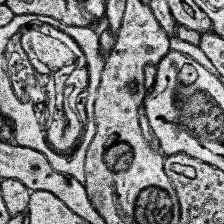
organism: Human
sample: Temporal Lobe